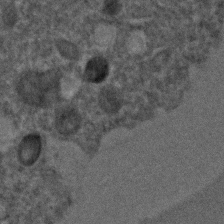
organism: C. elegans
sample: C. elegans embryo